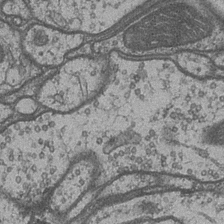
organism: Drosophila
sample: Optic medulla